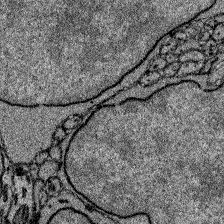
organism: Zebrafish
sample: Larval olfactory bulb